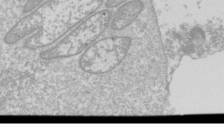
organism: Drosophila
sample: Cell division; meiosis; drosophila spermatocytes